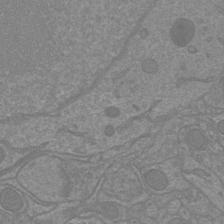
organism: Mouse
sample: Cortical neurons